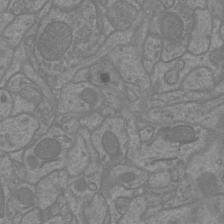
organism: Mouse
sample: Cortical neurons